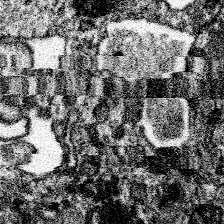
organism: Spongilla lacustris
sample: Neuroid cell